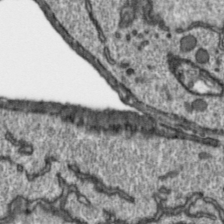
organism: Toxoplasma gondii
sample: Parasites in a vacuole inside a host cell